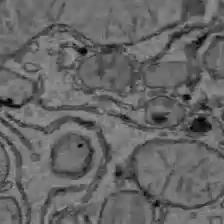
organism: C57BL Mouse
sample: Liver